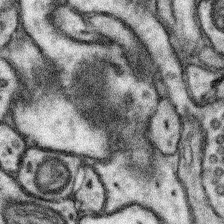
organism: Mouse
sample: Somatosensory cortex neuropil